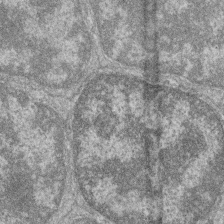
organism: Zebrafish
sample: Cilia; retinal pigment epithelium